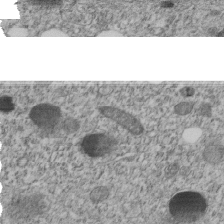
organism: C. elegans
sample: C. elegans embryo early stage